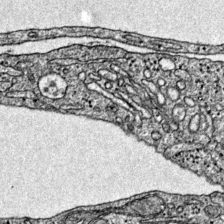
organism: Mouse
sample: Primary visual cortex